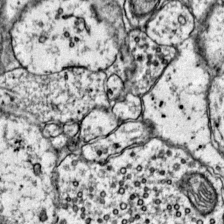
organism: Mouse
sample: Primary visual cortex